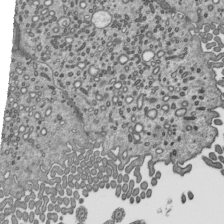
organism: Mouse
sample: Mouse epididymis efferent ductule cilia